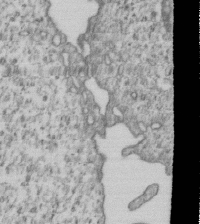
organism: Human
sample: MDA-MB-231 cells